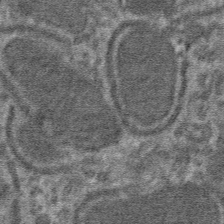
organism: Mouse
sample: Mouse hepatocytes